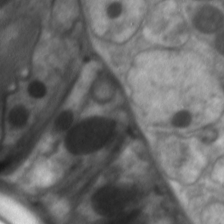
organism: C. elegans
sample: Pharynx